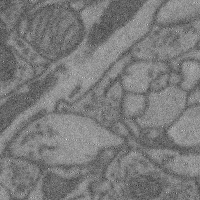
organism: Mouse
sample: Cerebral cortex